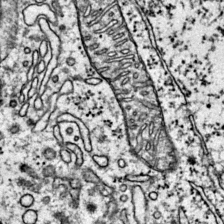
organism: Mouse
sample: Primary visual cortex